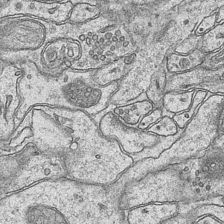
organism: Mouse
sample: CA1 Hippocampus